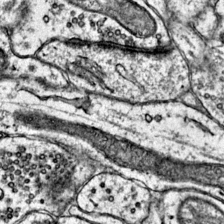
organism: Mouse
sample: Primary visual cortex